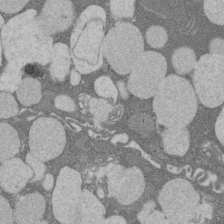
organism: Rat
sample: Salivary granule